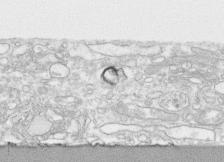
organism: Human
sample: CRL-1474